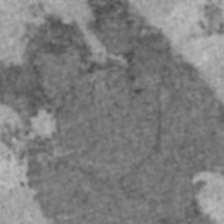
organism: C57BL Mouse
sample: Heart